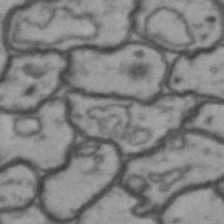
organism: Drosophila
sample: Brain